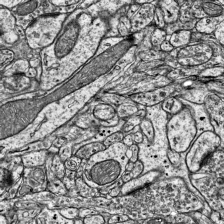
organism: Mouse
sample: Visual Cortex